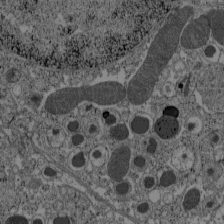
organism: C57BL Mouse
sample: Pancreatic islet